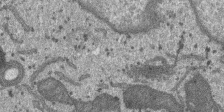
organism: Human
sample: Lung epithelial cells infected with SARS-CoV-2